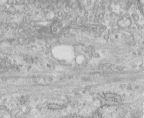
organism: Human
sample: Centriole in fibroblast cells